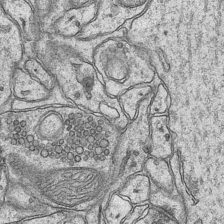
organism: Mouse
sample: CA1 Hippocampus